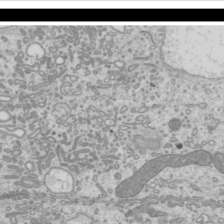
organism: Mouse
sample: Cilia; mouse epididymis